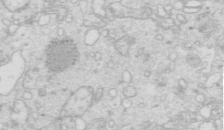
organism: Mouse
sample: Multiciliated cells